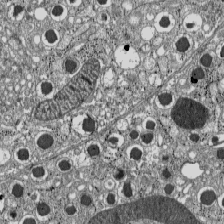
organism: C57BL Mouse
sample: Pancreatic islet